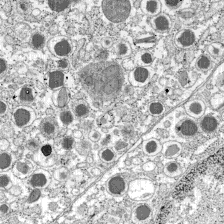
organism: C57BL Mouse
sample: Pancreatic islet